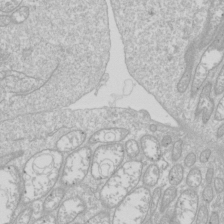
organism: Drosophila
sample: Cell division; meiosis; drosophila spermatocytes